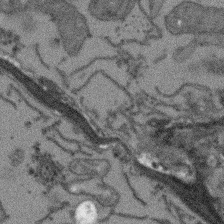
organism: Arabidopsis thaliana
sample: Root tip